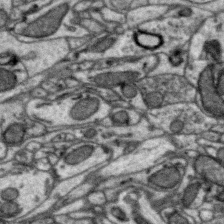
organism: Zebra finch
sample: Brain